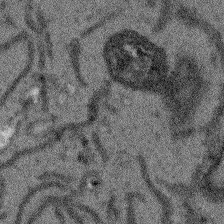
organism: Arabidopsis thaliana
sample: Root tip